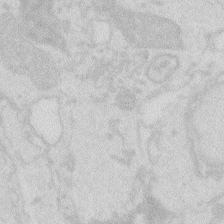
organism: Zebrafish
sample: Macrophage